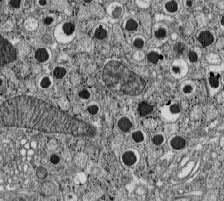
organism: C57BL Mouse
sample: Pancreatic islet